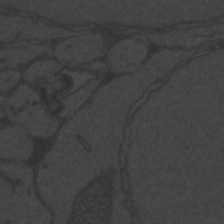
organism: Zebrafish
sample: Macrophage infected with Toxoplasma gondii